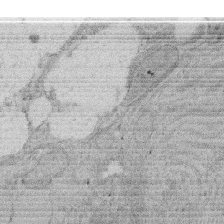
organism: Rat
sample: Salivary granule